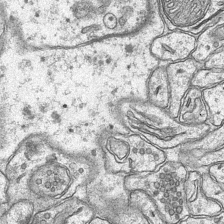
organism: Mouse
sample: CA1 Hippocampus